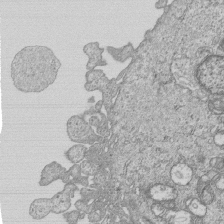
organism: Human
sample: MDA-MB-231 cells